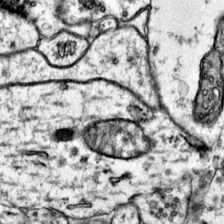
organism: Mouse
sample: Primary visual cortex